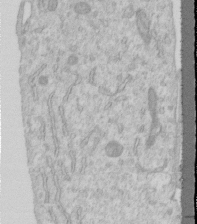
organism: Human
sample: Centriole in RPE cells